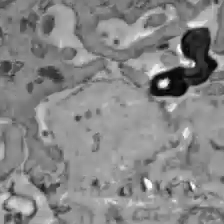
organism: C57BL Mouse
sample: Liver